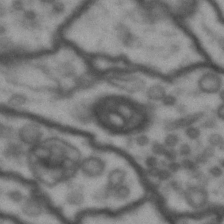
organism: Drosophila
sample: Brain